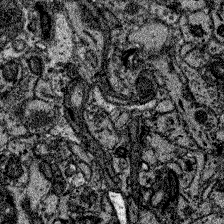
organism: Zebrafish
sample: Larval olfactory bulb